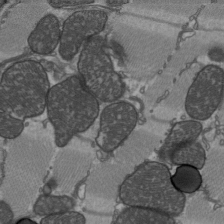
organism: C57BL Mouse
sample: Heart